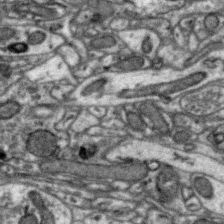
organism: Zebra finch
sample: Brain